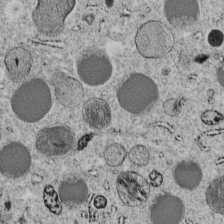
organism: C. elegans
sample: C. elegans embryo early stage